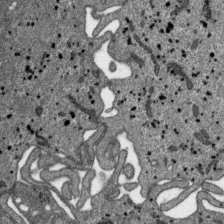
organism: Human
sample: Lung epithelial cells, uninfected (mock) control